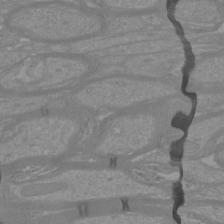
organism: Mouse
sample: Cortical neurons